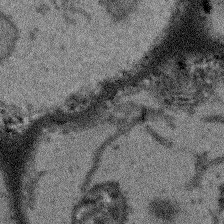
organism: Arabidopsis thaliana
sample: Root tip